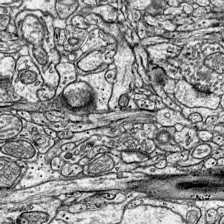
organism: Mouse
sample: Visual Cortex